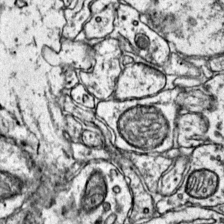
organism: Mouse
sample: Primary visual cortex